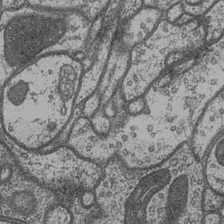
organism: Drosophila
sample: Optic medulla